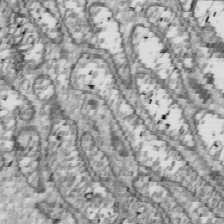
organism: Drosophila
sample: Cell division; meiosis; drosophila spermatocytes